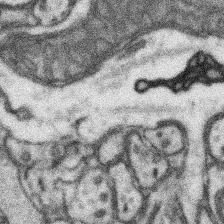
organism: Mouse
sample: Somatosensory cortex neuropil